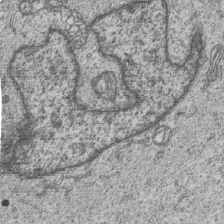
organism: Human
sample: MDA-MB-231 cells